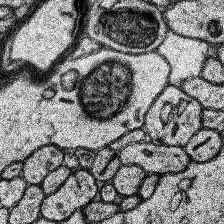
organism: Human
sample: Temporal Lobe